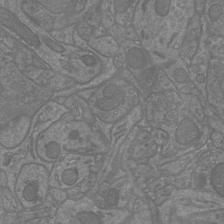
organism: Mouse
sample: Cortical neurons